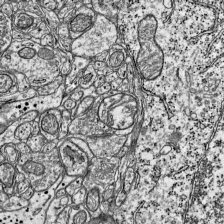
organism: Mouse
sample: Visual Cortex